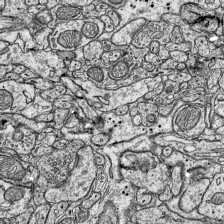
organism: Mouse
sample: Visual Cortex